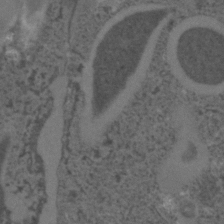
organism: C. elegans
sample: C. elegans embryo